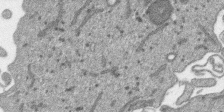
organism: Human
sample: Lung epithelial cells infected with SARS-CoV-2